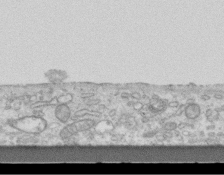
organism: Mouse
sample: Centriole in ependymal cells